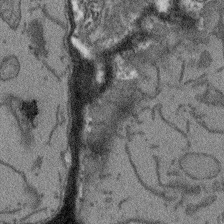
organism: Arabidopsis thaliana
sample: Root tip